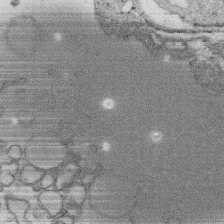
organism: Human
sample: Macrophage cells